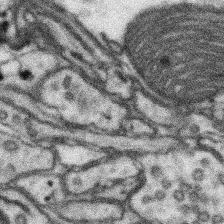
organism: Mouse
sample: Somatosensory cortex neuropil